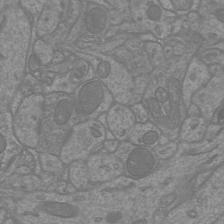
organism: Mouse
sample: Cortical neurons